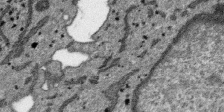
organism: Human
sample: Lung epithelial cells, uninfected (mock) control